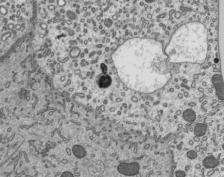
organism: Mouse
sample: Mouse epididymis efferent ductule cilia